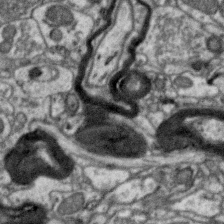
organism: Zebra finch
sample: Brain